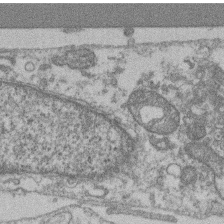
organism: Mouse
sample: T cell stromal cell synapse